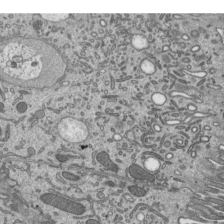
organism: Mouse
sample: Mouse epididymis efferent ductule cilia